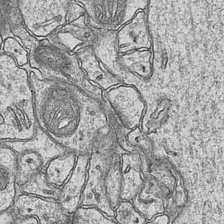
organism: Mouse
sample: CA1 Hippocampus